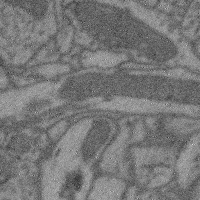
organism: Mouse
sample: Cerebral cortex